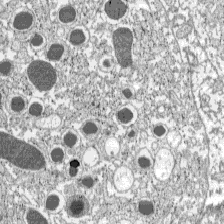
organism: C57BL Mouse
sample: Pancreatic islet